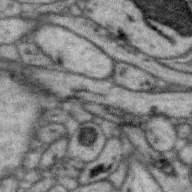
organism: Zebra finch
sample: Brain